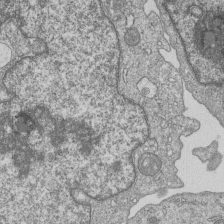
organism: Human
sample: MDA-MB-231 cells